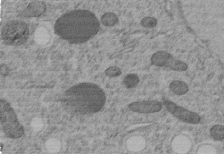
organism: C. elegans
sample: C. elegans embryo early stage